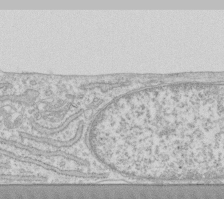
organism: Human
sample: Fibroblast cells